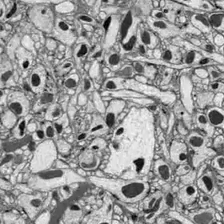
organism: Drosophila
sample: Optic lobe